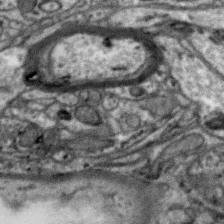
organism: Zebra finch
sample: Brain